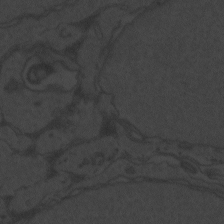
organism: Zebrafish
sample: Macrophage infected with Toxoplasma gondii